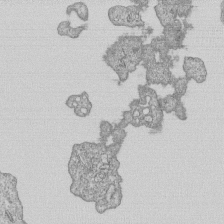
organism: Human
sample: MDA-MB-231 cells